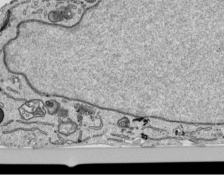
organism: Human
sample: Mitochondria in HCT116 cells